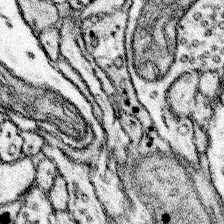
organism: Mouse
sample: Somatosensory cortex neuropil